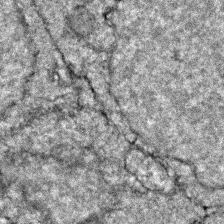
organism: Zebrafish